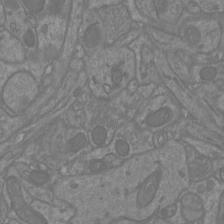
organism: Mouse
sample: Cortical neurons